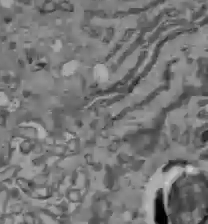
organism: C57BL Mouse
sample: Liver